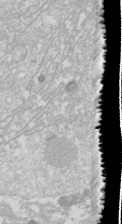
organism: Drosophila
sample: Cell division; meiosis; drosophila spermatocytes